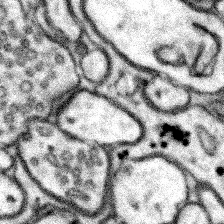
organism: Mouse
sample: Somatosensory cortex neuropil